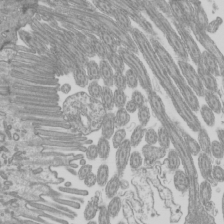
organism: Mouse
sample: Cilia; mouse epididymis